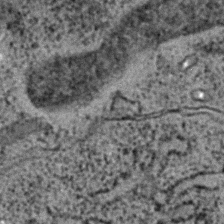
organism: C. elegans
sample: C. elegans embryo